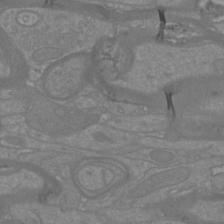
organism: Mouse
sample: Cortical neurons